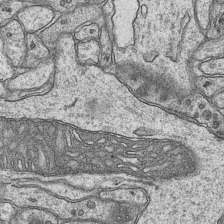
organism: Mouse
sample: CA1 Hippocampus